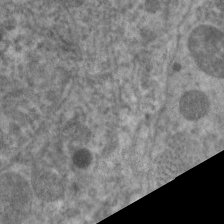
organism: C. elegans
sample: Pharynx